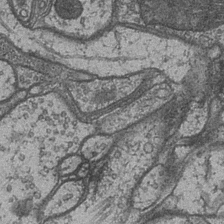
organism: Drosophila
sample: Optic medulla